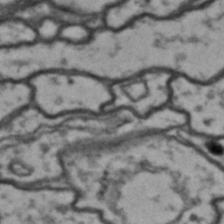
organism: Drosophila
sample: Brain